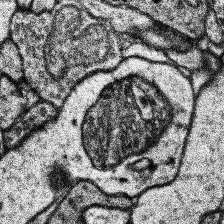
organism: Human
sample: Temporal Lobe